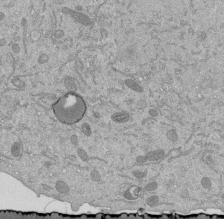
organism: Mouse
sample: ED-1 cell nuclei; centrioles